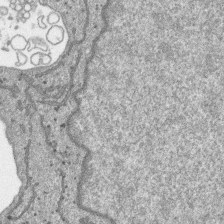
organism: Human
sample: Lung epithelial cells infected with SARS-CoV-2